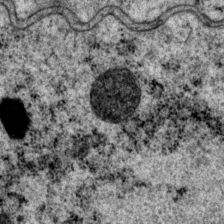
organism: P. pacificus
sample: Pharynx